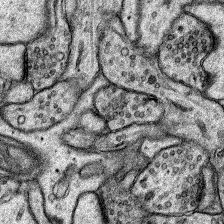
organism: Rat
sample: Hippocampus